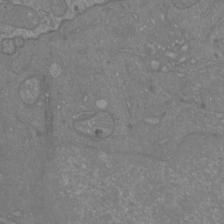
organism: Mouse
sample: Cortical neurons